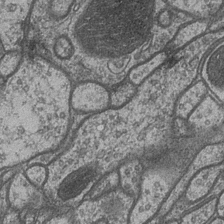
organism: Drosophila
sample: Optic medulla